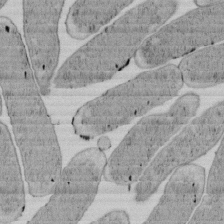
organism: E. coli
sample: Bacterial nucleoid